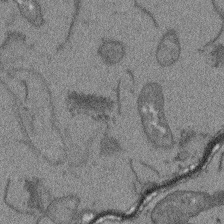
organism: Arabidopsis thaliana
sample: Root tip